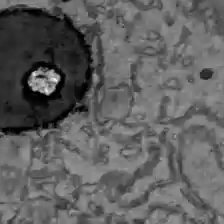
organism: C57BL Mouse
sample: Liver